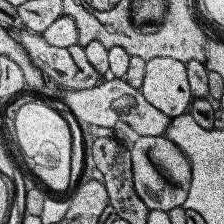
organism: Human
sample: Temporal Lobe